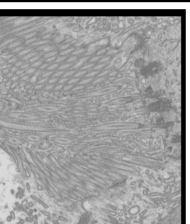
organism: Mouse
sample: Cilia; mouse epididymis